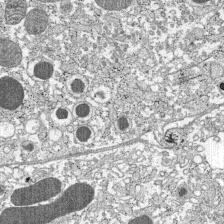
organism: C57BL Mouse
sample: Pancreatic islet